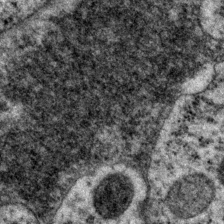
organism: P. pacificus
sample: Pharynx